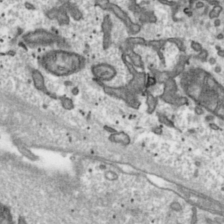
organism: Toxoplasma gondii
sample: Parasites in a vacuole inside a host cell